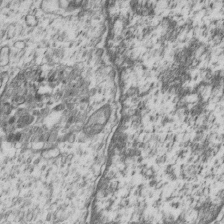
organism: Human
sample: MDA-MB-231 cells